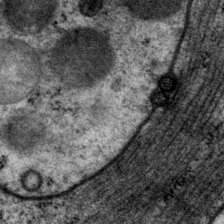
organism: P. pacificus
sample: Pharynx